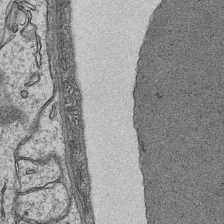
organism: Mouse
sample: CA1 Hippocampus